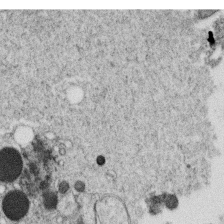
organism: C. elegans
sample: C. elegans oocyte; sperm cells